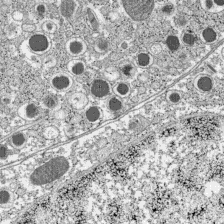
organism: C57BL Mouse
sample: Pancreatic islet